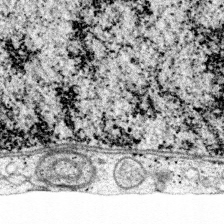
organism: Human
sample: HeLa cells